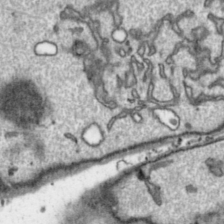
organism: Toxoplasma gondii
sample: Parasites in a vacuole inside a host cell